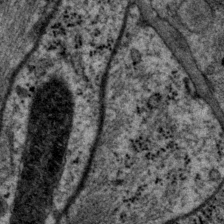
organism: P. pacificus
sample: Pharynx